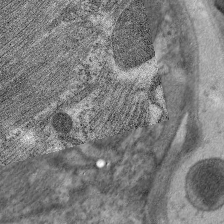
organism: C. elegans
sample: Pharynx